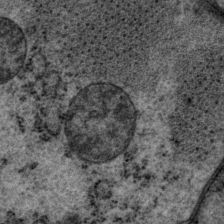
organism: P. pacificus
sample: Pharynx